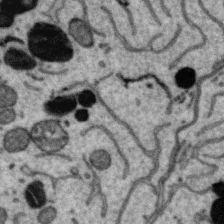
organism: Zebra finch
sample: Brain